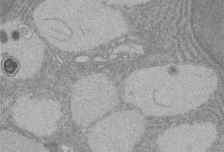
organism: Rat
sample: Salivary granule